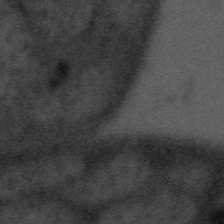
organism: Tuwongella immobilis